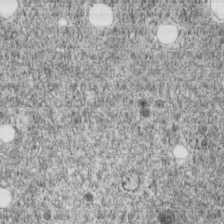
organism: C. elegans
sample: C. elegans embryo early stage